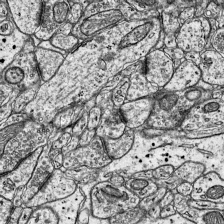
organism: Mouse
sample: Visual Cortex